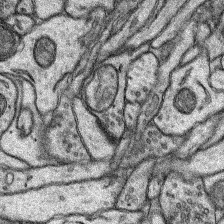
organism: Rat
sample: Hippocampus